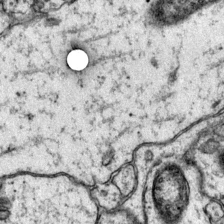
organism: Mouse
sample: Primary visual cortex